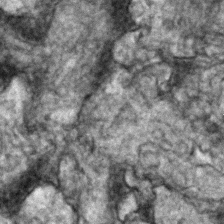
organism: Zebrafish